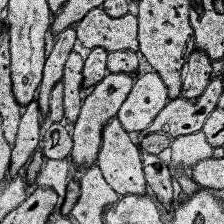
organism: Human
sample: Temporal Lobe